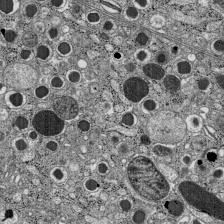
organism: C57BL Mouse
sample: Pancreatic islet